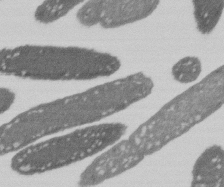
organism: E. coli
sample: Bacterial nucleoid